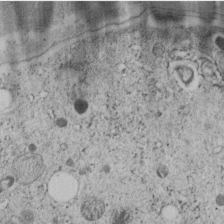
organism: C. elegans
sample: C. elegans embryo early stage